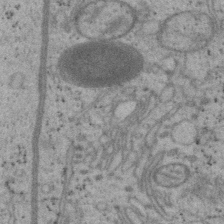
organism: Human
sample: HeLa cells